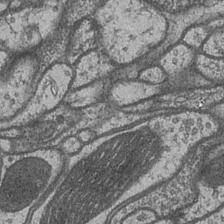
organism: Drosophila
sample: Optic medulla